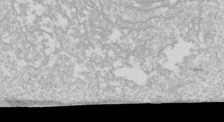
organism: Drosophila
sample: Cell division; meiosis; drosophila spermatocytes